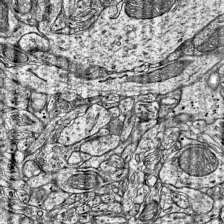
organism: Mouse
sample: Visual Cortex